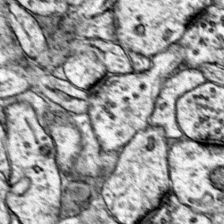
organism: Mouse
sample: Primary visual cortex